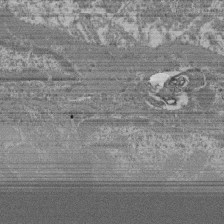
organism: Mouse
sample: Glomerulus